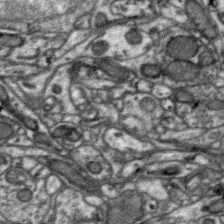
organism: Zebra finch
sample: Brain